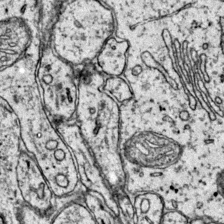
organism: Mouse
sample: Primary visual cortex